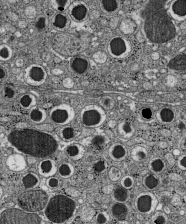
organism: C57BL Mouse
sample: Pancreatic islet